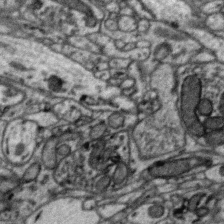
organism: Zebra finch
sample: Brain